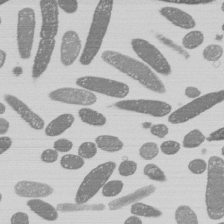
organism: E. coli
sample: Bacterial nucleoid